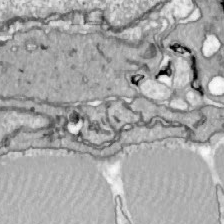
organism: Zebrafish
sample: Actinotrichia fibers